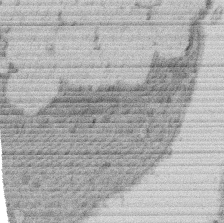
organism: Rat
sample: Salivary granule